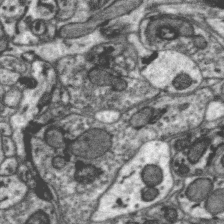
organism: Zebra finch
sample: Brain